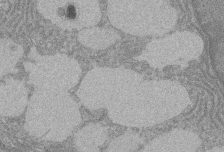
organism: Rat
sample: Salivary granule